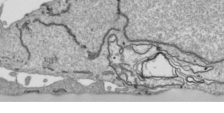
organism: Human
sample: Mitochondria in HCT116 cells